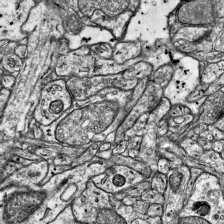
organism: Mouse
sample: Visual Cortex